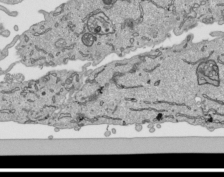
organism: Human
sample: Mitochondria in HCT116 cells